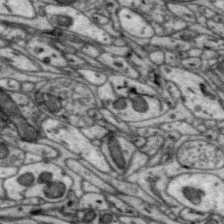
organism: Zebra finch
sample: Brain